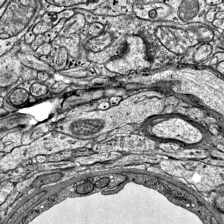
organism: Mouse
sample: Visual Cortex